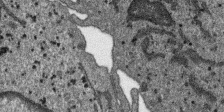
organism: Human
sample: Lung epithelial cells infected with SARS-CoV-2